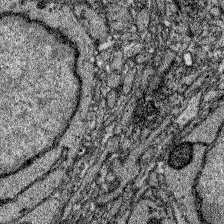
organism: Zebrafish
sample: Larval olfactory bulb